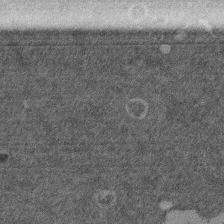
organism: Mouse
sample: Dividing mouse embryo 1 cell stage